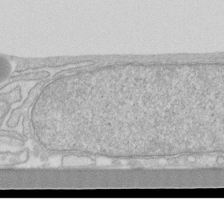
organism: Human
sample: Fibroblast cells